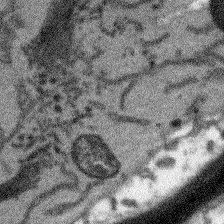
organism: Arabidopsis thaliana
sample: Root tip